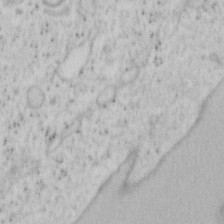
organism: Human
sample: HeLa cells